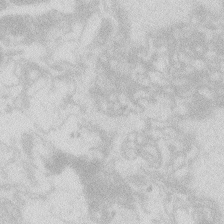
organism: Zebrafish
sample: Macrophage